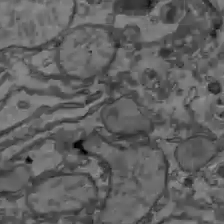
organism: C57BL Mouse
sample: Liver